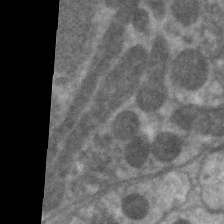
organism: C. elegans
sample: Pharynx